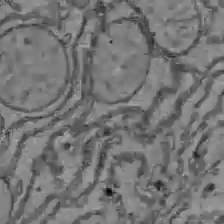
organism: C57BL Mouse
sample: Liver